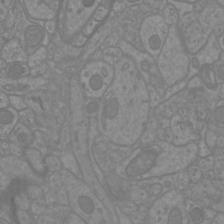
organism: Mouse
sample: Cortical neurons